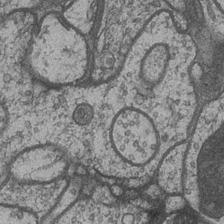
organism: Drosophila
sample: Optic medulla